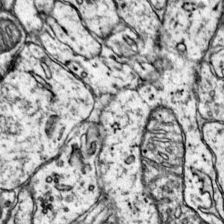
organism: Mouse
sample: Primary visual cortex